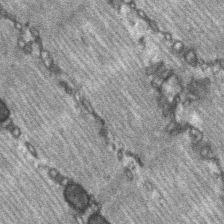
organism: C57BL Mouse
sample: Soleus